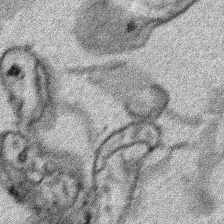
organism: Human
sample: Mitochondria in HCT116 cells